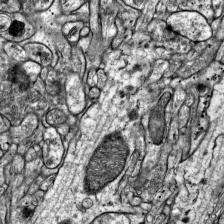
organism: Mouse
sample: Visual Cortex